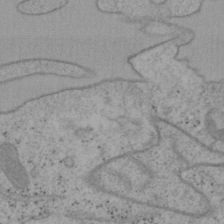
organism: Human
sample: HeLa cells